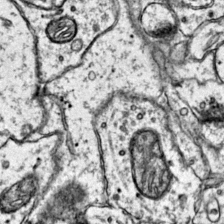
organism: Mouse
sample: Primary visual cortex